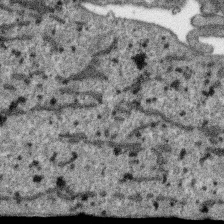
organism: Human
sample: Lung epithelial cells infected with SARS-CoV-2